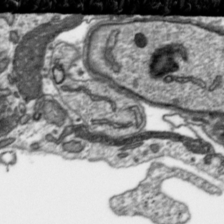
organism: Toxoplasma gondii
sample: Parasites in a vacuole inside a host cell